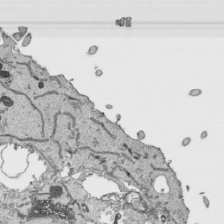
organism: Human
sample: Mitochondria in HCT116 cells